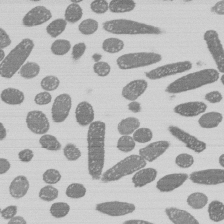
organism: E. coli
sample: Bacterial nucleoid